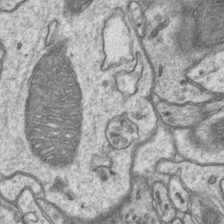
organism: Mouse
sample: CA1 Hippocampus